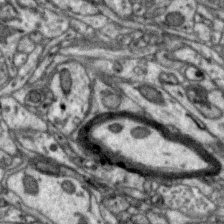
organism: Zebra finch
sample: Brain